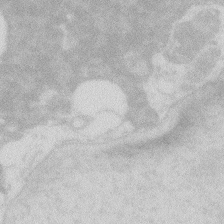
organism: Zebrafish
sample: Macrophage